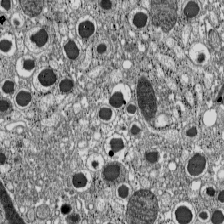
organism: C57BL Mouse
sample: Pancreatic islet